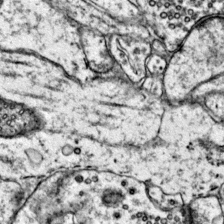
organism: Mouse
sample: Primary visual cortex